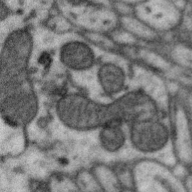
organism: Zebra finch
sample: Brain